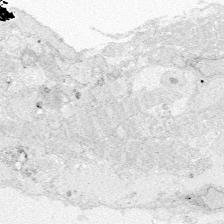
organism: Zebrafish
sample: Whole-Brain